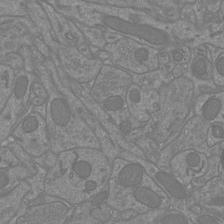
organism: Mouse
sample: Cortical neurons